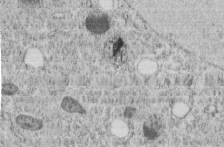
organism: C. elegans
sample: C. elegans embryo early stage